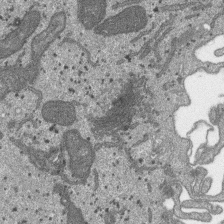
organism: Human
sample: Lung epithelial cells infected with SARS-CoV-2